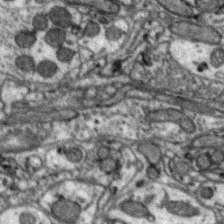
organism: Zebra finch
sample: Brain